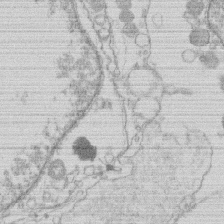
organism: Human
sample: Macrophage cells